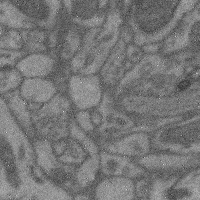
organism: Mouse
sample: Cerebral cortex